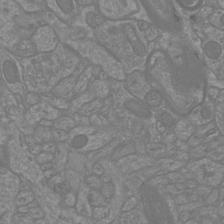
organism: Mouse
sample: Cortical neurons